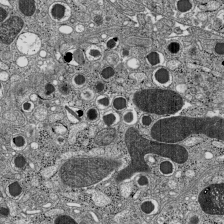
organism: C57BL Mouse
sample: Pancreatic islet